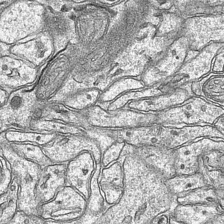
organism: Mouse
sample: CA1 Hippocampus